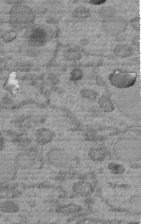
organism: C. elegans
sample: C. elegans embryo early stage